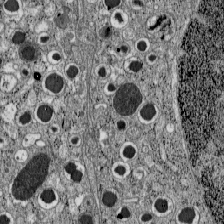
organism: C57BL Mouse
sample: Pancreatic islet